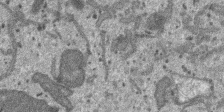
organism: Human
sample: Lung epithelial cells infected with SARS-CoV-2